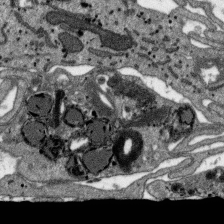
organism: Human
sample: Lung epithelial cells, uninfected (mock) control